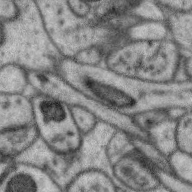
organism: Zebra finch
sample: Brain